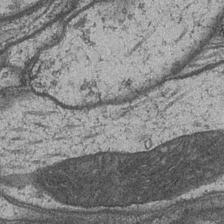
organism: Drosophila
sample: Optic medulla